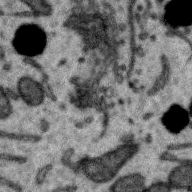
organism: Zebra finch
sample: Brain